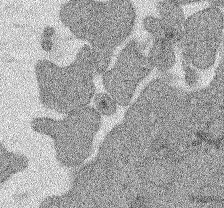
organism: Human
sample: HeLa cells